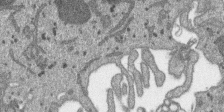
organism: Human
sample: Lung epithelial cells infected with SARS-CoV-2